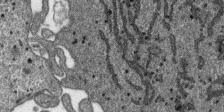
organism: Human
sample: Lung epithelial cells infected with SARS-CoV-2